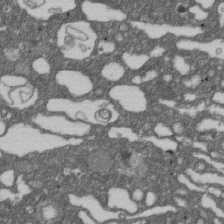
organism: Drosophila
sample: Nephrocyte